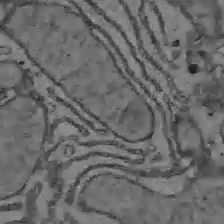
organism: C57BL Mouse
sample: Liver